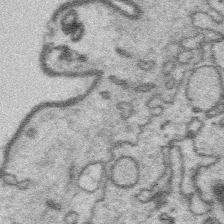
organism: Platynereis dumerilii